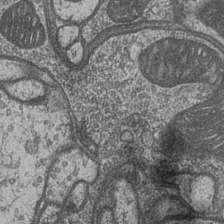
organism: Drosophila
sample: Optic medulla